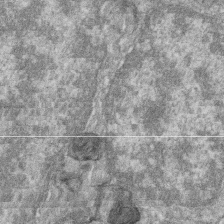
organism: Zebrafish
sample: Cilia; retinal pigment epithelium